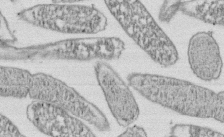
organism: E. coli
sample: Bacterial nucleoid